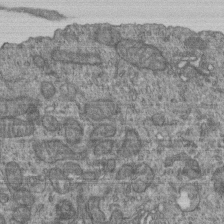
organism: Human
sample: Retinal organoid Rod and Cone cells